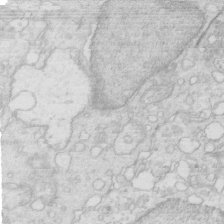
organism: Mouse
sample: Multiciliated cells